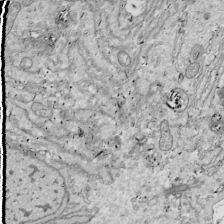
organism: Drosophila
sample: Cell division; meiosis; drosophila spermatocytes